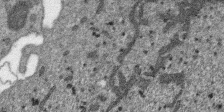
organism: Human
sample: Lung epithelial cells infected with SARS-CoV-2